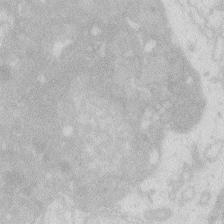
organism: Zebrafish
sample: Macrophage